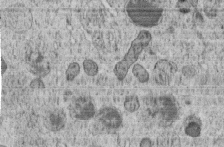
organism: C. elegans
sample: C. elegans embryo early stage